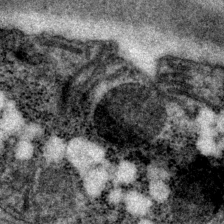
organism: P. pacificus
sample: Pharynx